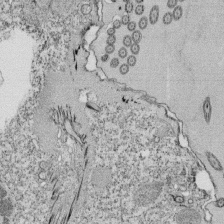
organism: Tetrahymena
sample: Cilia in tetrahymena